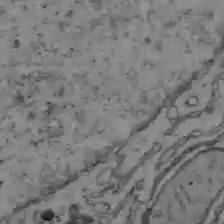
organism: C57BL Mouse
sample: Liver